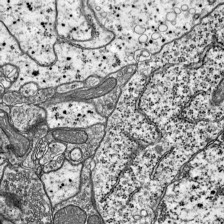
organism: Mouse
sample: Visual Cortex